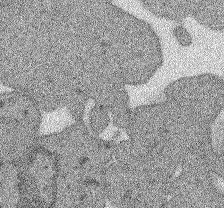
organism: Human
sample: HeLa cells